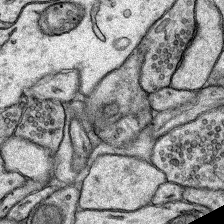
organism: Rat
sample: Hippocampus